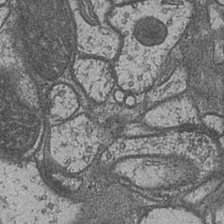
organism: Drosophila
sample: Optic medulla